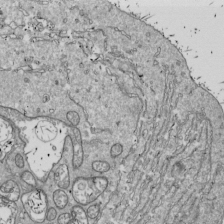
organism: Drosophila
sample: Cell division; meiosis; drosophila spermatocytes